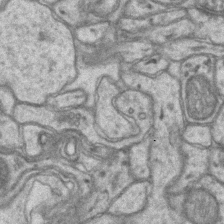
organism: Mouse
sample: CA1 Hippocampus